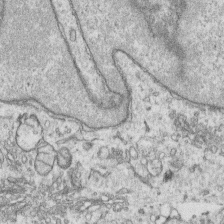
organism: Human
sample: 1205lu cells